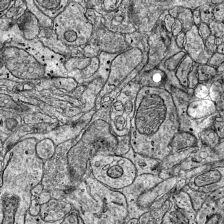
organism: Mouse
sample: Visual Cortex